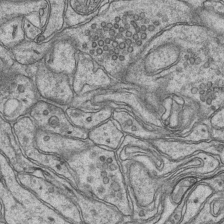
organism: Mouse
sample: CA1 Hippocampus